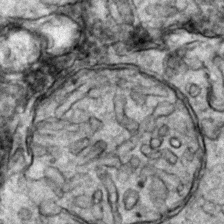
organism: Zebrafish